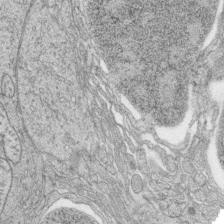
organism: Zebrafish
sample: synaptic ribbons in rod cells and cone cells